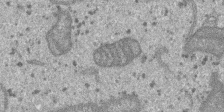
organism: Human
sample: Lung epithelial cells infected with SARS-CoV-2